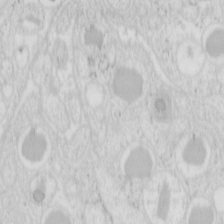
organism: Mouse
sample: Pancreas